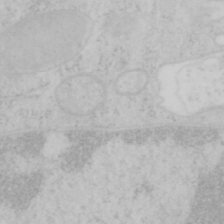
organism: Mouse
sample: OT-I killer T cells with ID8 ovarian cancer cells